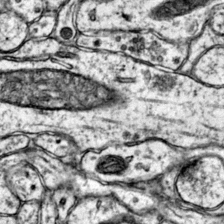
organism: Mouse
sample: Primary visual cortex